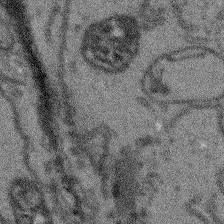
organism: Arabidopsis thaliana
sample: Root tip